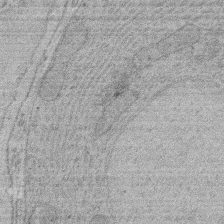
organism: Rat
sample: Salivary granule